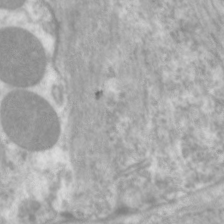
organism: C. elegans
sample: Pharynx